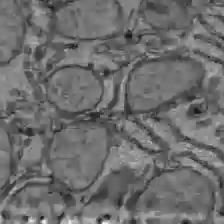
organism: C57BL Mouse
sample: Liver